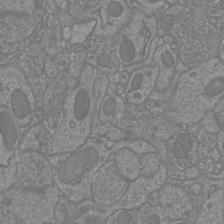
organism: Mouse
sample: Cortical neurons